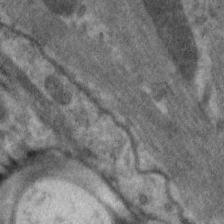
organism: C. elegans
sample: Pharynx